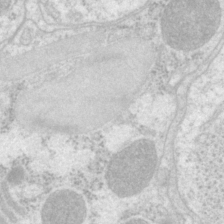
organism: P. pacificus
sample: Pharynx